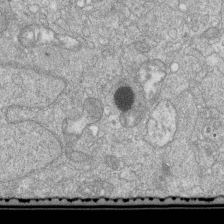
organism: Human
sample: HeLa cell HIV synapse